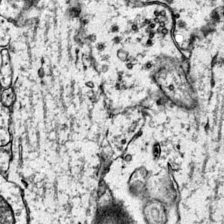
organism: Mouse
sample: Primary visual cortex